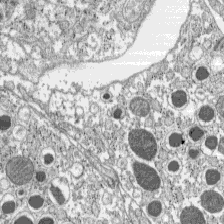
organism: C57BL Mouse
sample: Pancreatic islet